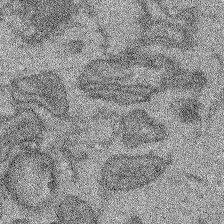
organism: Human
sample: HeLa cells